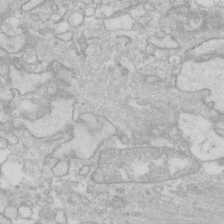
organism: Human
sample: Fibroblast cells